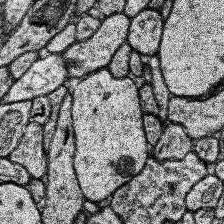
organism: Human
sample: Temporal Lobe